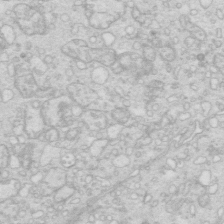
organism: Mouse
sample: Multiciliated cells